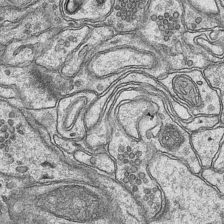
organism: Mouse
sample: CA1 Hippocampus